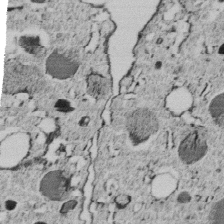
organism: C. elegans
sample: C. elegans embryo early stage